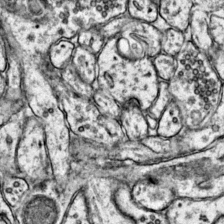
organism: Mouse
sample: Primary visual cortex